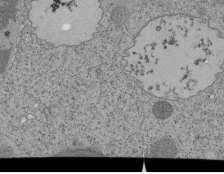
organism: Tetrahymena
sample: Cilia in tetrahymena